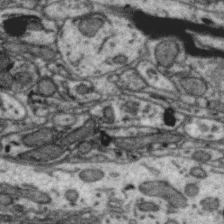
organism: Zebra finch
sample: Brain